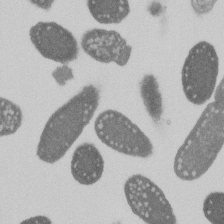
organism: E. coli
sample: Bacterial nucleoid